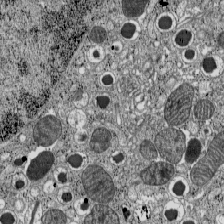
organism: C57BL Mouse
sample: Pancreatic islet